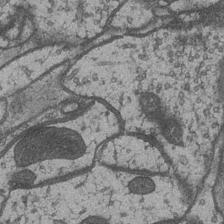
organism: Drosophila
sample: Optic medulla